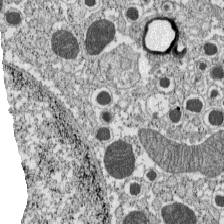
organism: C57BL Mouse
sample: Pancreatic islet